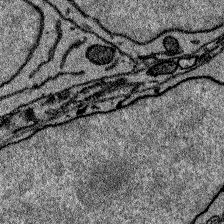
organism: Zebrafish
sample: Larval olfactory bulb